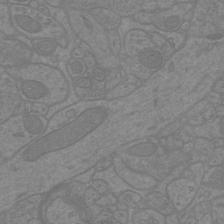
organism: Mouse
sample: Cortical neurons